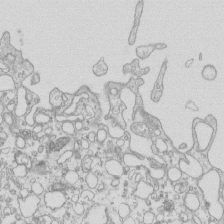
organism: Mouse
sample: Macrophages